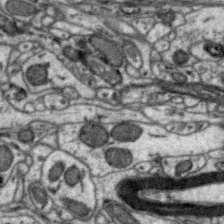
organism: Zebra finch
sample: Brain